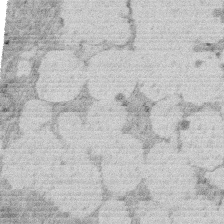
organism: Rat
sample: Salivary granule